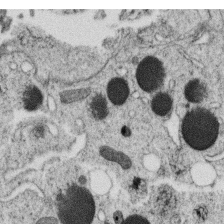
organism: C. elegans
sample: C. elegans oocyte; sperm cells